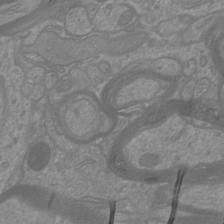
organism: Mouse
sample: Cortical neurons